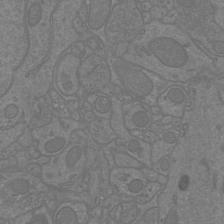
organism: Mouse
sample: Cortical neurons